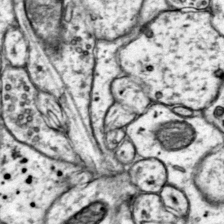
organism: Mouse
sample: Primary visual cortex